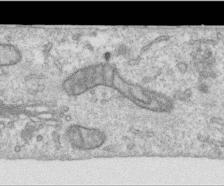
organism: Human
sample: Centriole in RPE cells